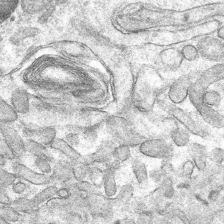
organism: Mouse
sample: Mouse hepatocytes